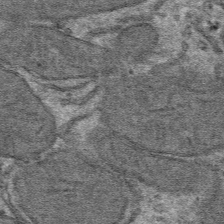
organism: Mouse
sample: Mouse hepatocytes